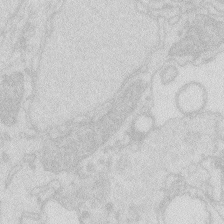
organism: Zebrafish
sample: Macrophage